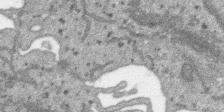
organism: Human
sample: Lung epithelial cells infected with SARS-CoV-2